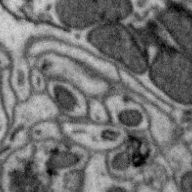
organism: Zebra finch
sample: Brain